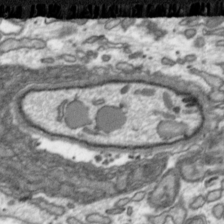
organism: Toxoplasma gondii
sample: Parasites in a vacuole inside a host cell